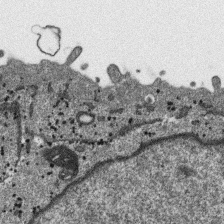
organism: Human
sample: Lung epithelial cells infected with SARS-CoV-2